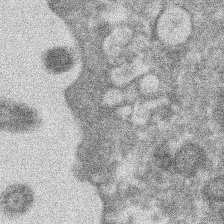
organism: Xenopus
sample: Cilia; centrioles in frog embryo cells